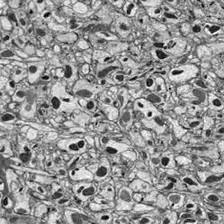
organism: Drosophila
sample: Optic lobe